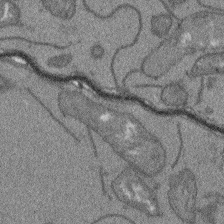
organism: Arabidopsis thaliana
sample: Root tip